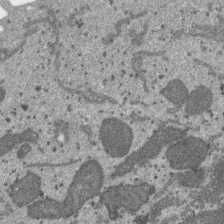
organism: Human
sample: Lung epithelial cells infected with SARS-CoV-2